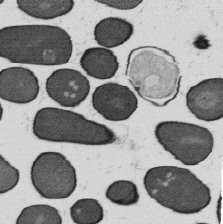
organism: B. subtilis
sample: Bacterial spore